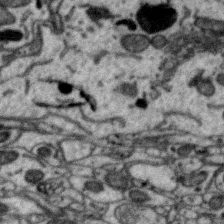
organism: Zebra finch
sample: Brain